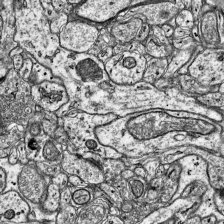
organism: Mouse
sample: Visual Cortex